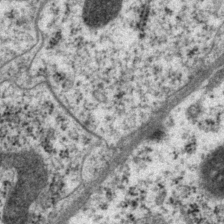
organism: P. pacificus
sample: Pharynx